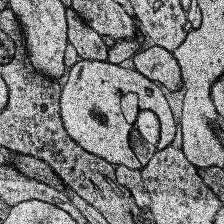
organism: Human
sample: Temporal Lobe